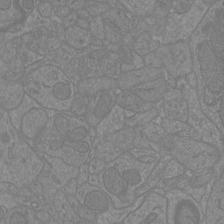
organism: Mouse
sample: Cortical neurons